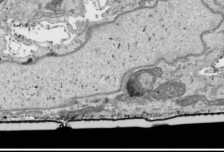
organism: Human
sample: Mitochondria in HCT116 cells